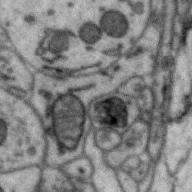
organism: Zebra finch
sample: Brain